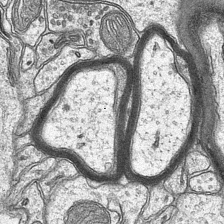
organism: Mouse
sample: CA1 Hippocampus